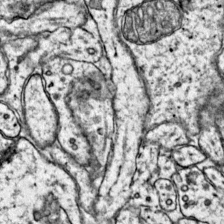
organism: Mouse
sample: Primary visual cortex